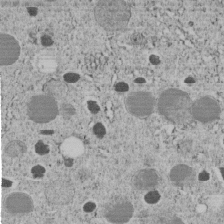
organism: C. elegans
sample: C. elegans embryo early stage